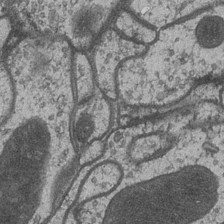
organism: Drosophila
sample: Optic medulla